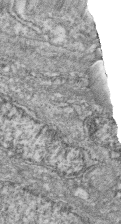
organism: Zebrafish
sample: Cilia; retinal pigment epithelium